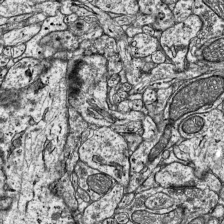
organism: Mouse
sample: Visual Cortex